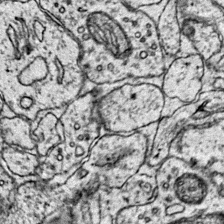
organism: Mouse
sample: Primary visual cortex